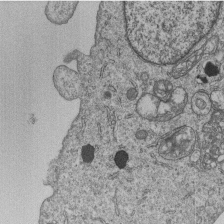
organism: Human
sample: MDA-MB-231 cells